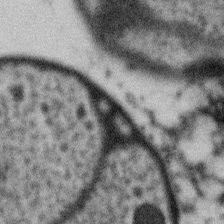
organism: Gemmata obscuriglobus